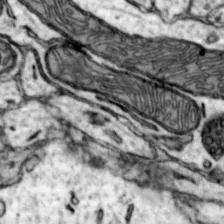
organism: Mouse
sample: Nucleus accumbens